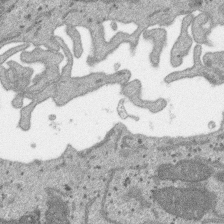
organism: Human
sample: Lung epithelial cells infected with SARS-CoV-2